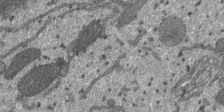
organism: Human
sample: Lung epithelial cells infected with SARS-CoV-2